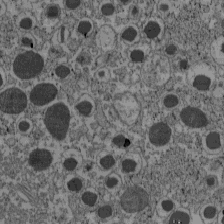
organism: C57BL Mouse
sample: Pancreatic islet